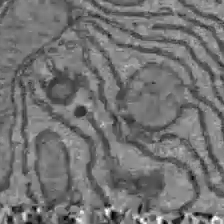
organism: C57BL Mouse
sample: Liver